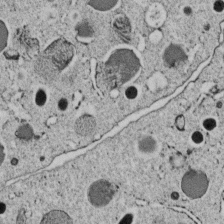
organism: C. elegans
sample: C. elegans embryo early stage